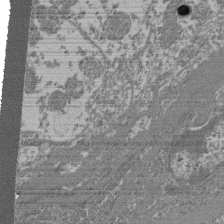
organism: Mouse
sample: Glomerulus